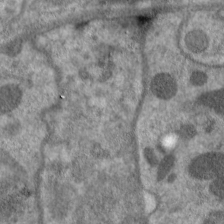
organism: C. elegans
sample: Pharynx